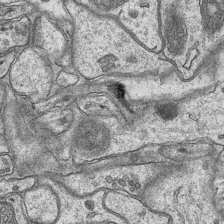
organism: Mouse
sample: CA1 Hippocampus